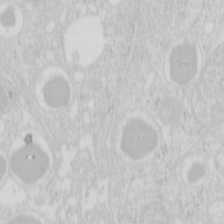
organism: Mouse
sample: Pancreas